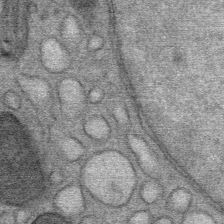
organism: Mouse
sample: Mouse Salivary gland